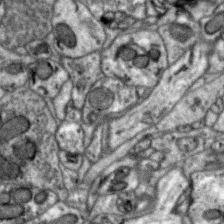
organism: Zebra finch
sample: Brain